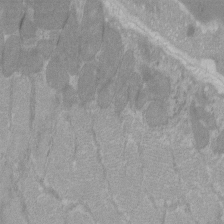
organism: C57BL Mouse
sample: Tibialis anterior muscle cell